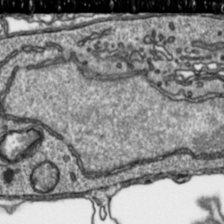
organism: Toxoplasma gondii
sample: Parasites in a vacuole inside a host cell